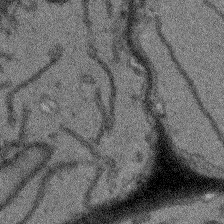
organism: Arabidopsis thaliana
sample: Root tip